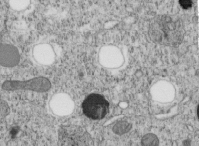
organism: C. elegans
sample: C. elegans embryo early stage